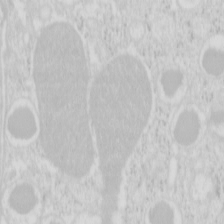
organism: Mouse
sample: Pancreas